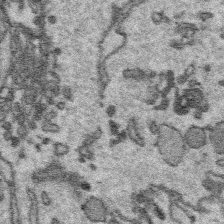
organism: Platynereis dumerilii